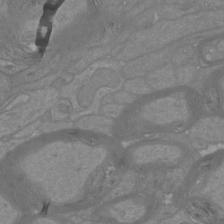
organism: Mouse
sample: Cortical neurons